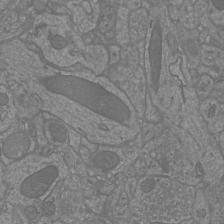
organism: Mouse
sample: Cortical neurons